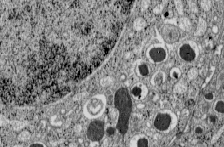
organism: C57BL Mouse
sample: Pancreatic islet